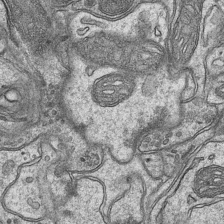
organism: Mouse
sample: CA1 Hippocampus